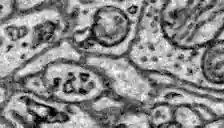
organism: Zebrafish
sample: Brain